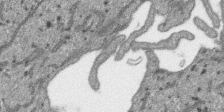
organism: Human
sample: Lung epithelial cells infected with SARS-CoV-2